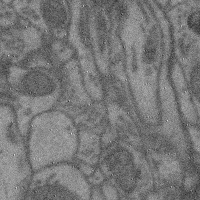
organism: Mouse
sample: Cerebral cortex